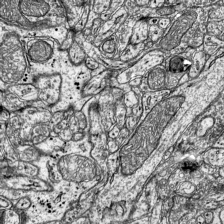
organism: Mouse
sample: Visual Cortex